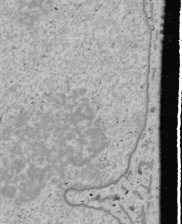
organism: Human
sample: Mitochondria in U2OS cells